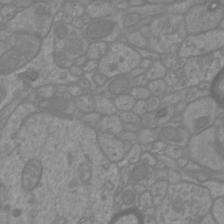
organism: Mouse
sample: Cortical neurons